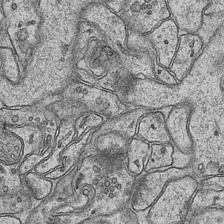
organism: Mouse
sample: CA1 Hippocampus